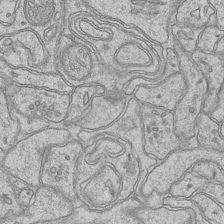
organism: Mouse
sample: CA1 Hippocampus